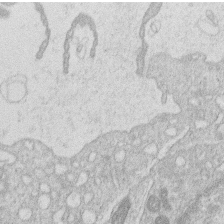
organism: Human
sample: Macrophage cells